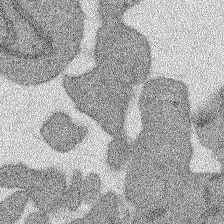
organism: Human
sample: HeLa cells